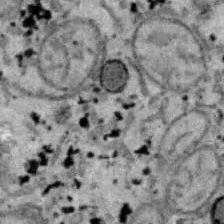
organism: Mouse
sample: Liver from an obese (ob/ob) mouse